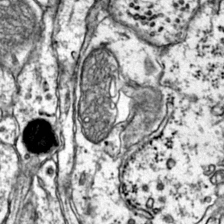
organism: Mouse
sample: Primary visual cortex